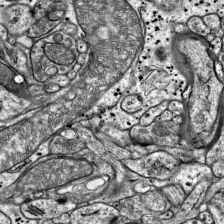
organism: Mouse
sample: Visual Cortex